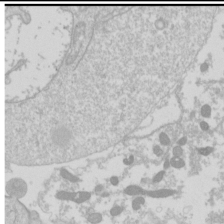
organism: Drosophila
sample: Cell division; meiosis; drosophila spermatocytes